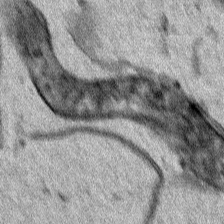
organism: Human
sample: Mitochondria in HCT116 cells